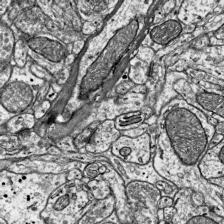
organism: Mouse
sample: Visual Cortex